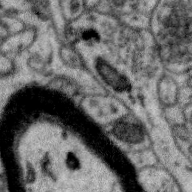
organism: Zebra finch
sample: Brain